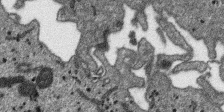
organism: Human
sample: Lung epithelial cells infected with SARS-CoV-2